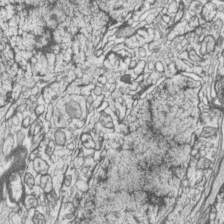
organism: Zebrafish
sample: synaptic ribbons in rod cells and cone cells